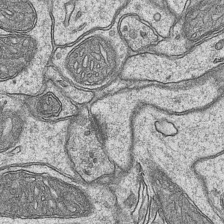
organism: Mouse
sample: CA1 Hippocampus